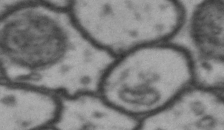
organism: Drosophila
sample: Brain